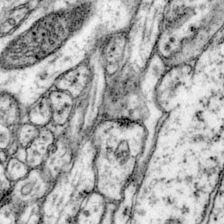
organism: Mouse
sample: Primary visual cortex